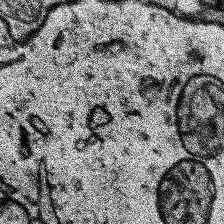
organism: Human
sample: Temporal Lobe